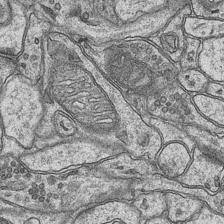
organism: Mouse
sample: CA1 Hippocampus